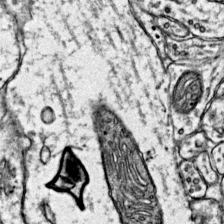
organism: Mouse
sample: Primary visual cortex